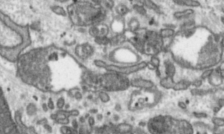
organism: Toxoplasma gondii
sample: Parasites in a vacuole inside a host cell